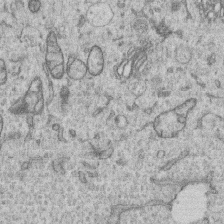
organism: Human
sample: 1205lu cells